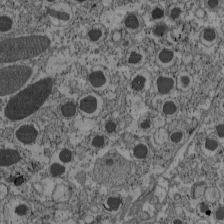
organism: C57BL Mouse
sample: Pancreatic islet